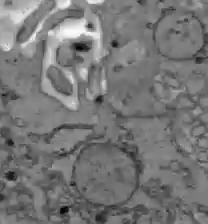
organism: C57BL Mouse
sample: Liver